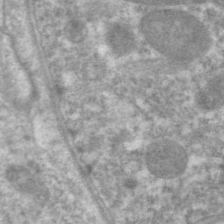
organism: C. elegans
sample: Pharynx